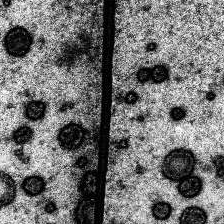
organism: Human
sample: Temporal Lobe